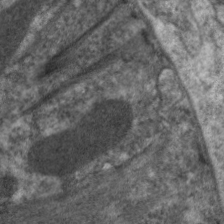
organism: C. elegans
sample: Pharynx